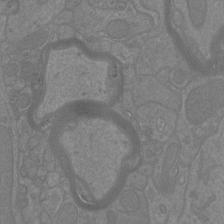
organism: Mouse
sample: Cortical neurons